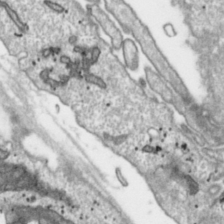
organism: Toxoplasma gondii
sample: Parasites in a vacuole inside a host cell